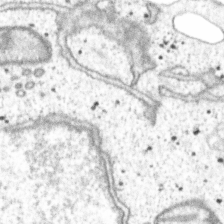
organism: Human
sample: HeLa cells